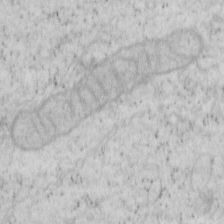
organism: Human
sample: HeLa cells